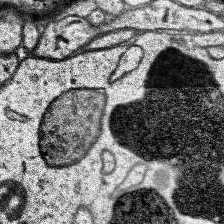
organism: Human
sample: Temporal Lobe